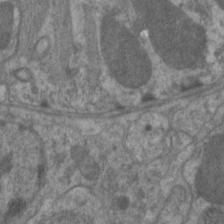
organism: C. elegans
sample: Pharynx